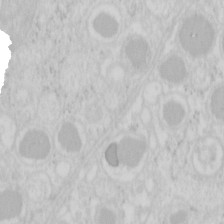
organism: Mouse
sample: Pancreas